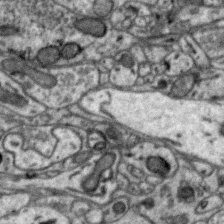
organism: Zebra finch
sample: Brain